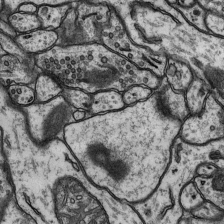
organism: Rat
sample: Hippocampus